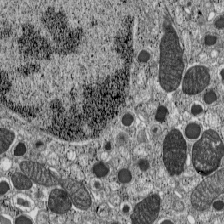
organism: C57BL Mouse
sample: Pancreatic islet